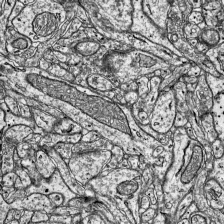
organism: Mouse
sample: Visual Cortex